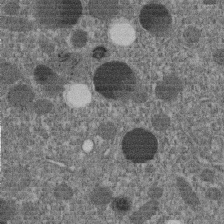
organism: C. elegans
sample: C. elegans embryo early stage